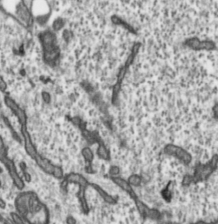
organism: Toxoplasma gondii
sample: Parasites in a vacuole inside a host cell